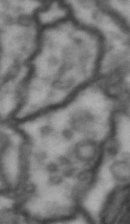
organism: Drosophila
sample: Brain